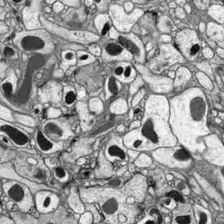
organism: Drosophila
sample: Optic lobe